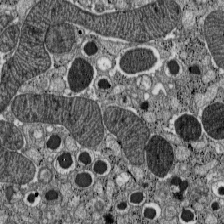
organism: C57BL Mouse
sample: Pancreatic islet